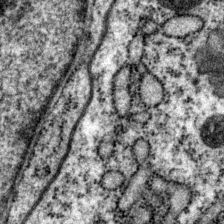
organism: P. pacificus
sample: Pharynx